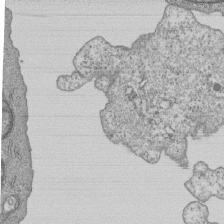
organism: Human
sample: MDA-MB-231 cells